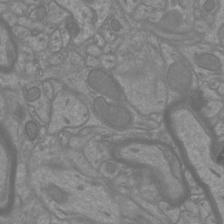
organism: Mouse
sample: Cortical neurons